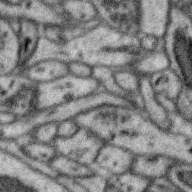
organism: Zebra finch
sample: Brain